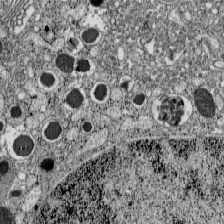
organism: C57BL Mouse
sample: Pancreatic islet